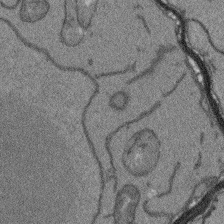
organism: Arabidopsis thaliana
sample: Root tip